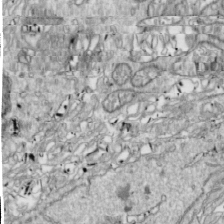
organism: Drosophila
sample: Cell division; meiosis; drosophila spermatocytes